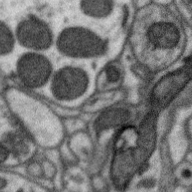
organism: Zebra finch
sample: Brain